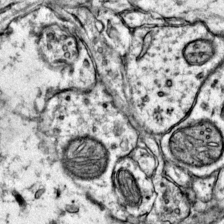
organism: Mouse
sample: Primary visual cortex